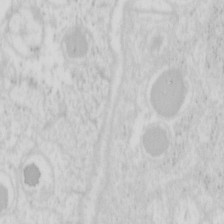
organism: Mouse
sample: Pancreas